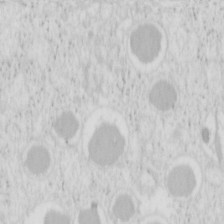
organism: Mouse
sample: Pancreas